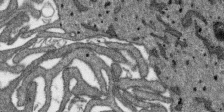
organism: Human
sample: Lung epithelial cells, uninfected (mock) control